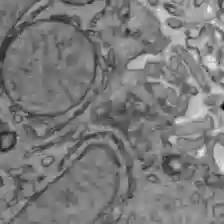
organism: C57BL Mouse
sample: Liver